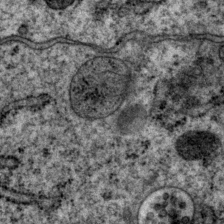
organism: P. pacificus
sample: Pharynx